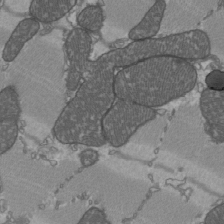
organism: C57BL Mouse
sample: Heart